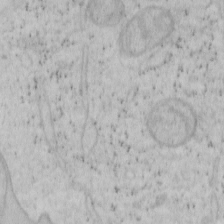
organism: Human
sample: HeLa cells